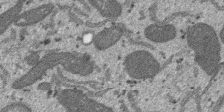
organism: Human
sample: Lung epithelial cells infected with SARS-CoV-2